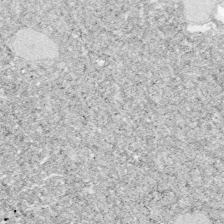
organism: Zebrafish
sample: Whole-Brain